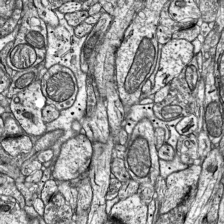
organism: Mouse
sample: Visual Cortex